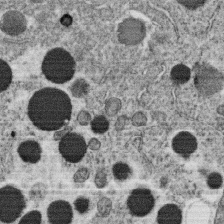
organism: C. elegans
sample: C. elegans oocyte; sperm cells